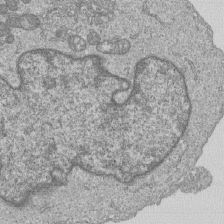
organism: Human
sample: MDA-MB-231 cells